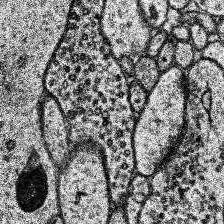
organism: Human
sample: Temporal Lobe